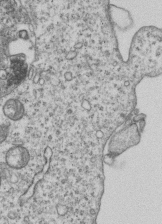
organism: Human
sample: MDA-MB-231 cells